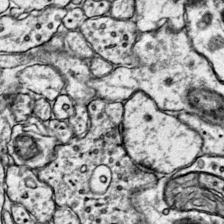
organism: Mouse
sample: Primary visual cortex